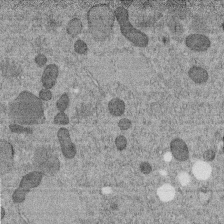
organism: C. elegans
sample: C. elegans embryo early stage